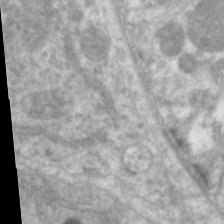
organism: C. elegans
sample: Pharynx